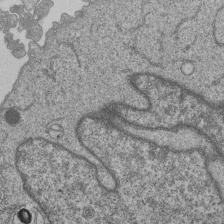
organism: Human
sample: MDA-MB-231 cells